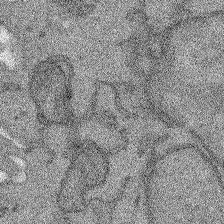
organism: Human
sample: HeLa cells